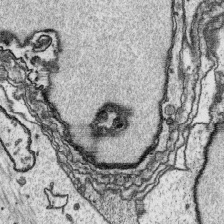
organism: Platynereis dumerilii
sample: Parapodia